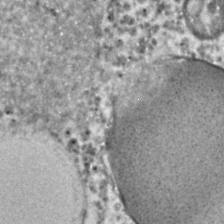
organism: C. elegans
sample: C. elegans embryo